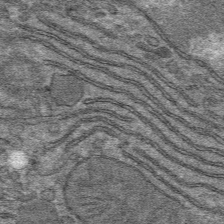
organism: Mouse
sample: Mouse hepatocytes